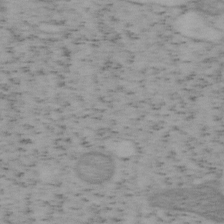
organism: Mouse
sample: OT-I killer T cells with ID8 ovarian cancer cells